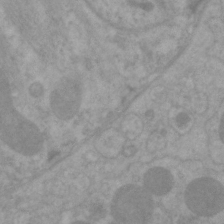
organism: C. elegans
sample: Pharynx